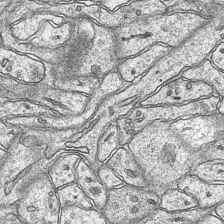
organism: Mouse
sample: CA1 Hippocampus